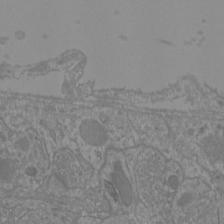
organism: Mouse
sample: Cortical neurons